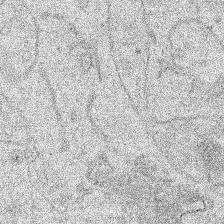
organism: Human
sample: Mitochondria in HCT116 cells